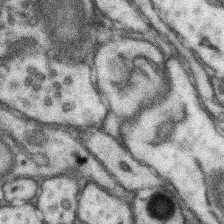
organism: Mouse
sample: Somatosensory cortex neuropil